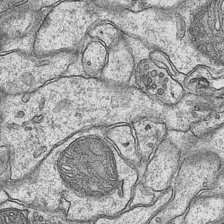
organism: Mouse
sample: CA1 Hippocampus